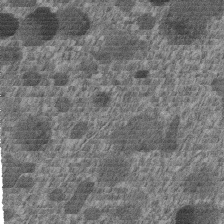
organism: C. elegans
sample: C. elegans embryo early stage